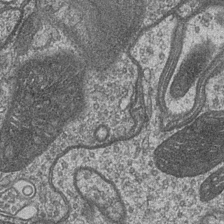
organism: Drosophila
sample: Optic medulla